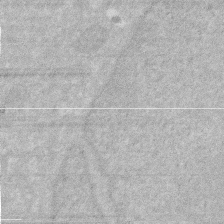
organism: Human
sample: HIV infected U937 cells